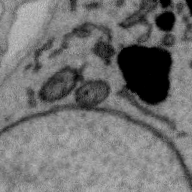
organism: Zebra finch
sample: Brain